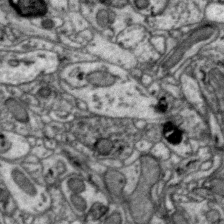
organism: Zebra finch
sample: Brain